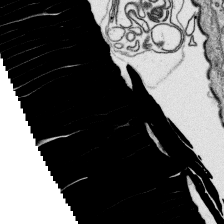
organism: Platynereis dumerilii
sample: Parapodia